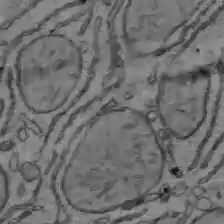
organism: C57BL Mouse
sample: Liver